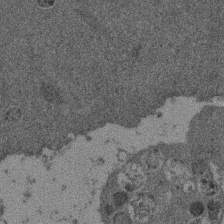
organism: Mouse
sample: Dividing mouse embryo 1 cell stage